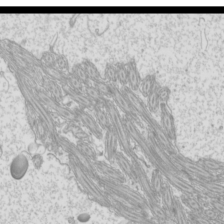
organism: Mouse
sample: Cilia; mouse epididymis